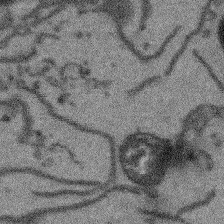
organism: Arabidopsis thaliana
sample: Root tip